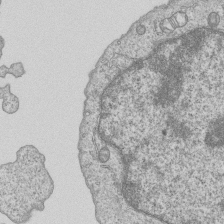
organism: Human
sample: MDA-MB-231 cells